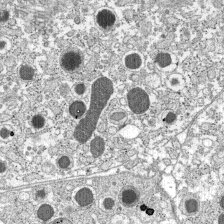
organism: C57BL Mouse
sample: Pancreatic islet